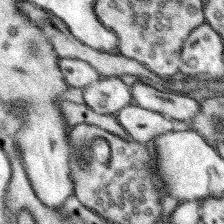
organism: Mouse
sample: Somatosensory cortex neuropil